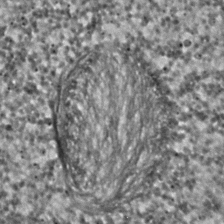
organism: C. elegans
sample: C. elegans embryo